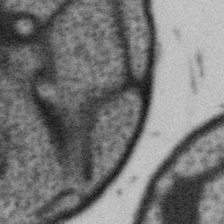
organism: Gemmata obscuriglobus